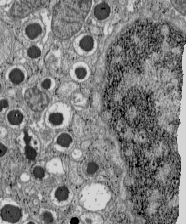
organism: C57BL Mouse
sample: Pancreatic islet